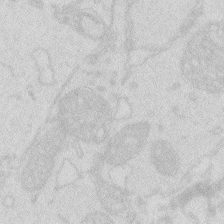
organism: Zebrafish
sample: Macrophage